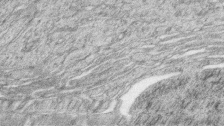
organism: Zebrafish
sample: synaptic ribbons in rod cells and cone cells